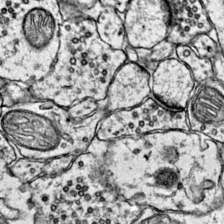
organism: Mouse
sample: Primary visual cortex